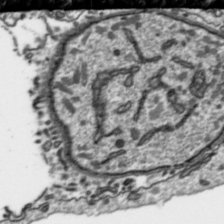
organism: Toxoplasma gondii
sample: Parasites in a vacuole inside a host cell